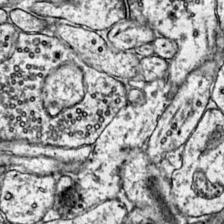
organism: Mouse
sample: Primary visual cortex